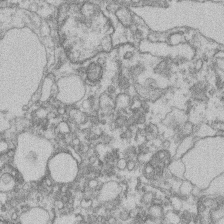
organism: Mouse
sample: T cell stromal cell synapse